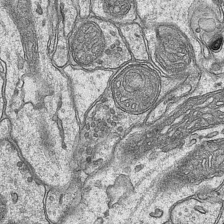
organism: Mouse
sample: CA1 Hippocampus